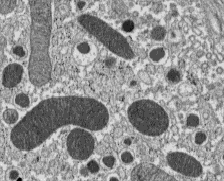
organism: C57BL Mouse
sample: Pancreatic islet